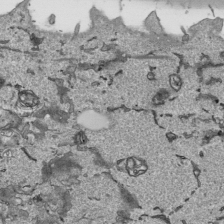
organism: Human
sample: Mitochondria in HCT116 cells